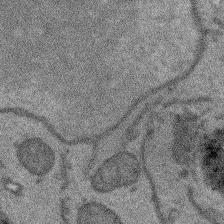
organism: Arabidopsis thaliana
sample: Root tip